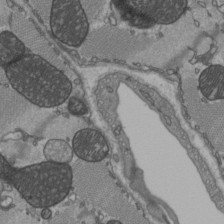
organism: C57BL Mouse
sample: Heart